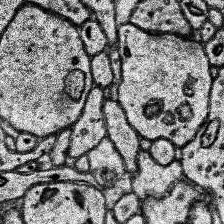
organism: Human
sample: Temporal Lobe